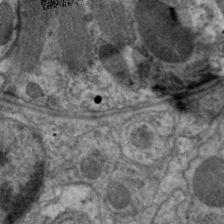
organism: C. elegans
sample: Pharynx